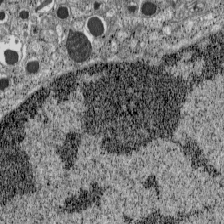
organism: C57BL Mouse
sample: Pancreatic islet